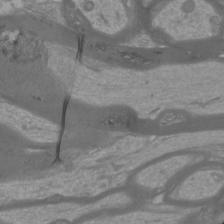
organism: Mouse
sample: Cortical neurons